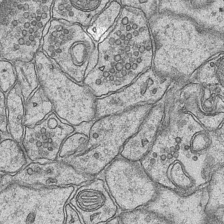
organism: Mouse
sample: CA1 Hippocampus